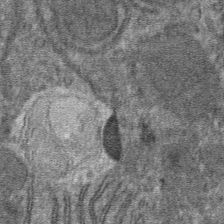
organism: Mouse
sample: Mouse hepatocytes